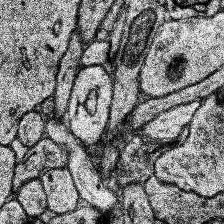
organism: Human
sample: Temporal Lobe